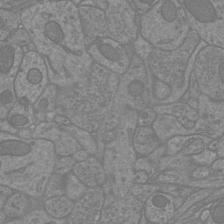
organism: Mouse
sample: Cortical neurons